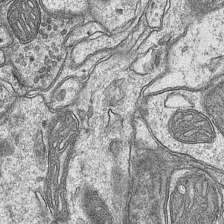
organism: Mouse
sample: CA1 Hippocampus